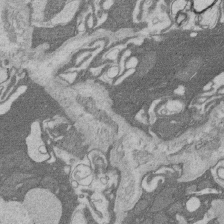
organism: Rat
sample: Salivary granule